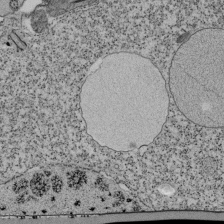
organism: Tetrahymena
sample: Cilia in tetrahymena